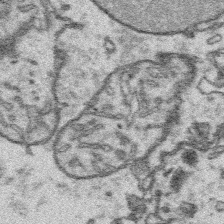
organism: Platynereis dumerilii